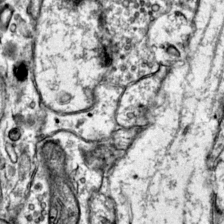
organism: Mouse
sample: Primary visual cortex